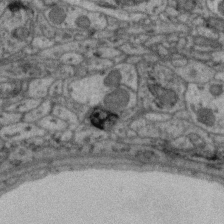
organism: Zebra finch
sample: Brain